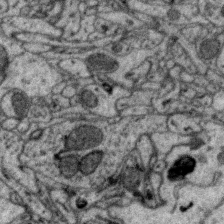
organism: Zebra finch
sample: Brain